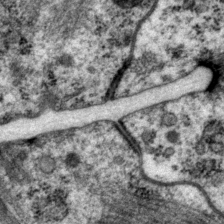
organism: P. pacificus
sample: Pharynx